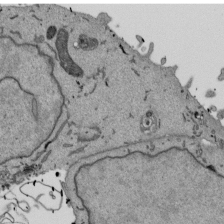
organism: Mouse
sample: ED-1 cell nuclei; centrioles